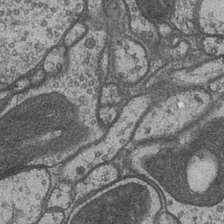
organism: Drosophila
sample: Optic medulla